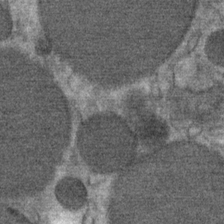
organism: Mouse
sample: Mouse Salivary gland